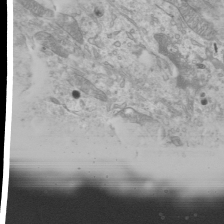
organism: Mouse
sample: Cilia; mouse epididymis